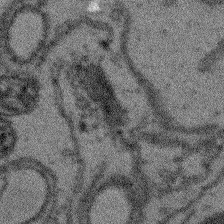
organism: Arabidopsis thaliana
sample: Root tip